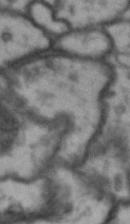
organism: Drosophila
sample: Brain